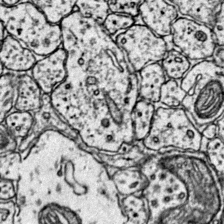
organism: Mouse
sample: Primary visual cortex